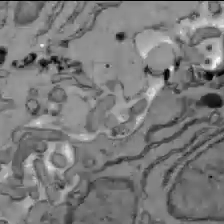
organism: C57BL Mouse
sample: Liver